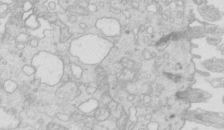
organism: Mouse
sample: Multiciliated cells